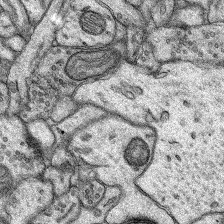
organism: Rat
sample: Hippocampus